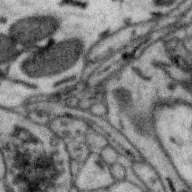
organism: Zebra finch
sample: Brain